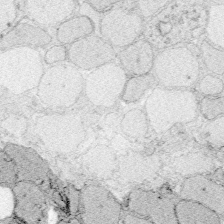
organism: Zebrafish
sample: Whole-Brain